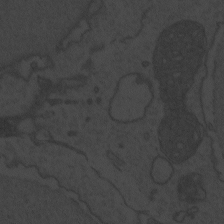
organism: Zebrafish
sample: Macrophage infected with Toxoplasma gondii